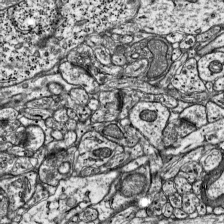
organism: Mouse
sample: Visual Cortex